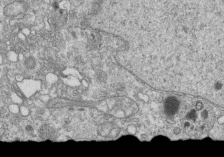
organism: Human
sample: HeLa cell HIV synapse